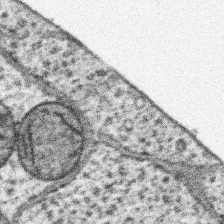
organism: Human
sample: HeLa cells